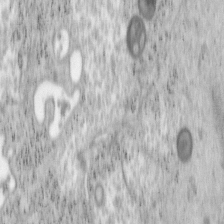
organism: Human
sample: HeLa cells